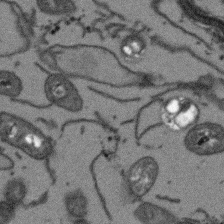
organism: Arabidopsis thaliana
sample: Root tip